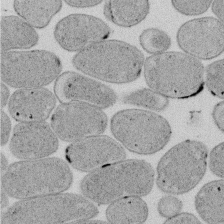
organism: E. coli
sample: Bacterial nucleoid